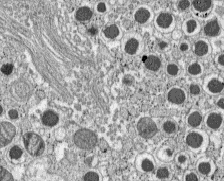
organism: C57BL Mouse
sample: Pancreatic islet